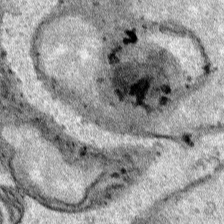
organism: Human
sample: Mitochondria in HCT116 cells